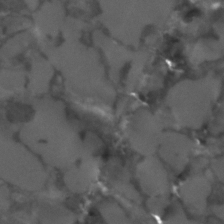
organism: C. elegans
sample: C. elegans embryo